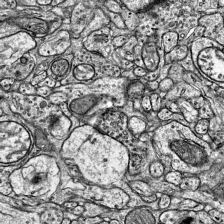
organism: Mouse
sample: Visual Cortex